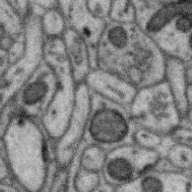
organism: Zebra finch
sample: Brain